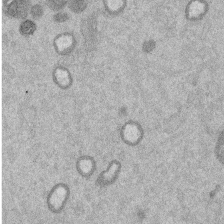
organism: Mouse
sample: Dividing mouse embryo 1 cell stage